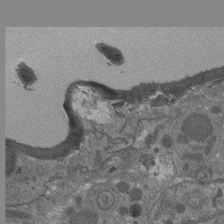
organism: Drosophila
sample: Antenna